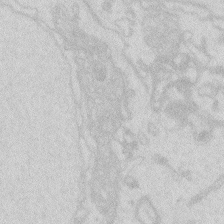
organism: Zebrafish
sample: Macrophage